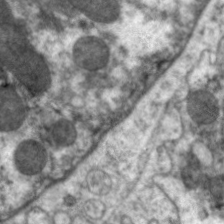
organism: C. elegans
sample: Pharynx